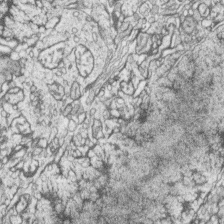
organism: Zebrafish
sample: synaptic ribbons in rod cells and cone cells